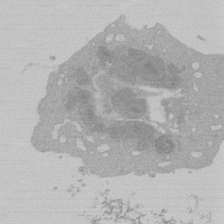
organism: Mouse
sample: Activated Pmel transgenic CD8+ T Cells